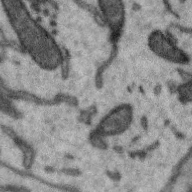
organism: Zebra finch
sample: Brain